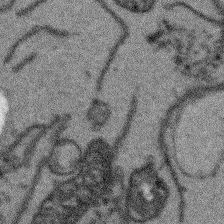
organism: Arabidopsis thaliana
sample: Root tip